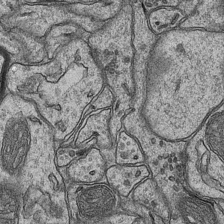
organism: Mouse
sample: CA1 Hippocampus